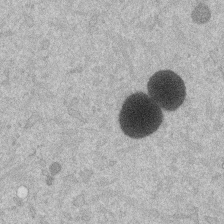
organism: Mouse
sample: Dividing mouse embryo 1 cell stage